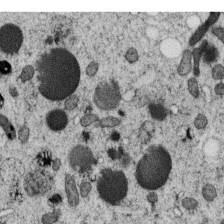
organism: C. elegans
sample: C. elegans oocyte; sperm cells